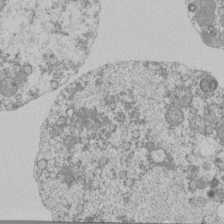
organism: Mouse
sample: Activated Pmel transgenic CD8+ T Cells